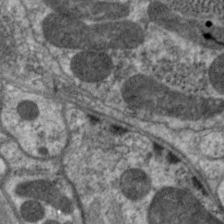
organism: C. elegans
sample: Pharynx